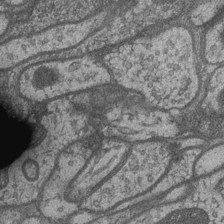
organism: Drosophila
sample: Optic medulla